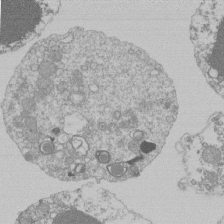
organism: Mouse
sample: Activated Pmel transgenic CD8+ T Cells